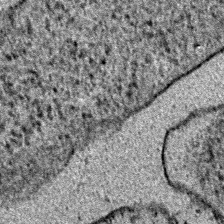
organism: E. coli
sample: E. Coli Bacteria